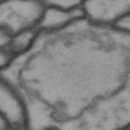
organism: Drosophila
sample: Brain